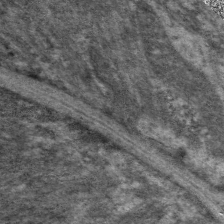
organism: C. elegans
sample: Pharynx